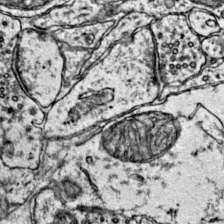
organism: Mouse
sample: Primary visual cortex